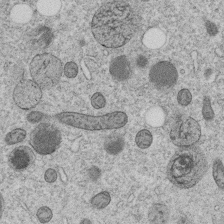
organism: C. elegans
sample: C. elegans embryo early stage